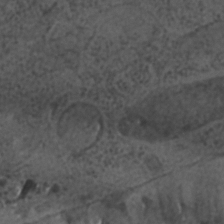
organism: C. elegans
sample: C. elegans embryo